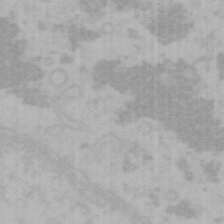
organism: Mouse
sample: Choroid plexus